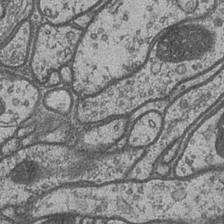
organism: Drosophila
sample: Optic medulla